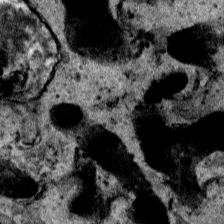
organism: Human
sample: Mitochondria in HCT116 cells